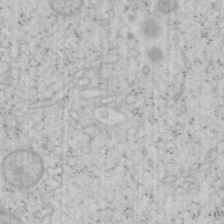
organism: Human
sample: HeLa cells